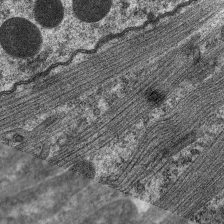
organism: C. elegans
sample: Pharynx